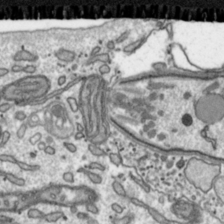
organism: Toxoplasma gondii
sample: Parasites in a vacuole inside a host cell